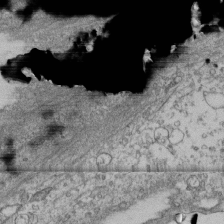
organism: Human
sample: Fibroblast cells